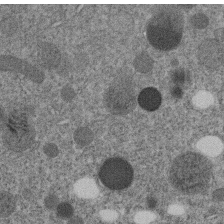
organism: C. elegans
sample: C. elegans embryo early stage